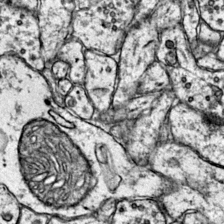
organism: Mouse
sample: Primary visual cortex